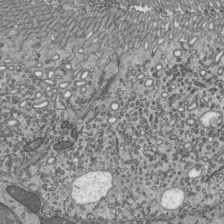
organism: Mouse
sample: Mouse epididymis efferent ductule cilia